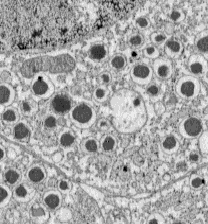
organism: C57BL Mouse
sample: Pancreatic islet